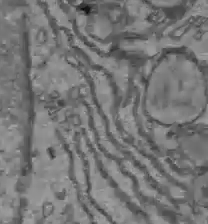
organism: C57BL Mouse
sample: Liver